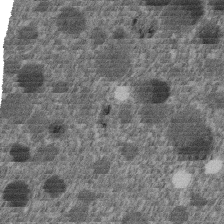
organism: C. elegans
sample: C. elegans embryo early stage